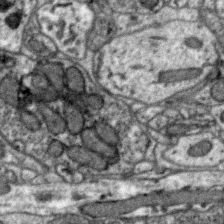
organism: Zebra finch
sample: Brain